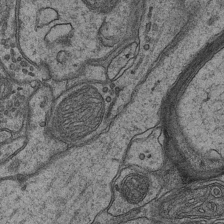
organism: Mouse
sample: CA1 Hippocampus